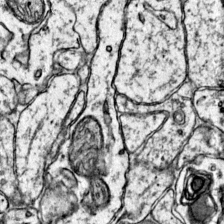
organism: Mouse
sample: Primary visual cortex